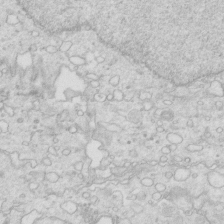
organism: Mouse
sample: Multiciliated cells